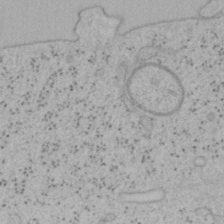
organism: Human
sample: HeLa cells